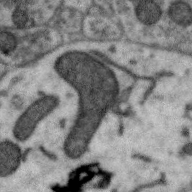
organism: Zebra finch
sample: Brain